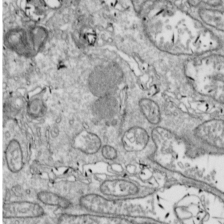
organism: Drosophila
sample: Cell division; meiosis; drosophila spermatocytes